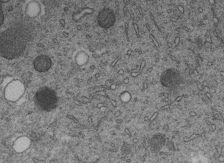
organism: C. elegans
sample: C. elegans embryo early stage